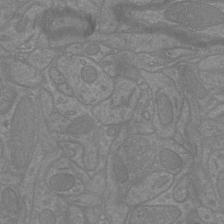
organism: Mouse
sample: Cortical neurons